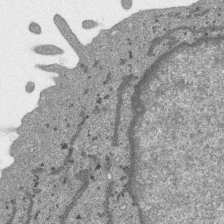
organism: Human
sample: Lung epithelial cells infected with SARS-CoV-2